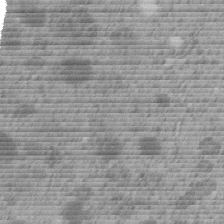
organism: C. elegans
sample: C. elegans embryo early stage